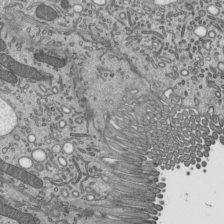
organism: Mouse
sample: Mouse epididymis efferent ductule cilia